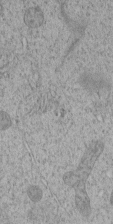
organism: C. elegans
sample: C. elegans embryo early stage